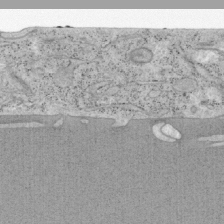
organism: Human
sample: HeLa cells